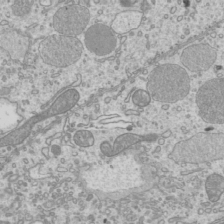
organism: Mouse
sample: Cilia; mouse epididymis